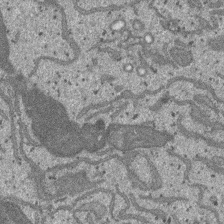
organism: Human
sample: Lung epithelial cells infected with SARS-CoV-2